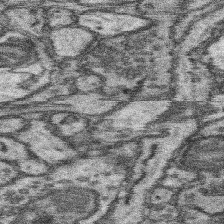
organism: Mouse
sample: Somatosensory cortex neuropil